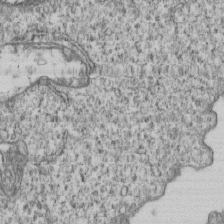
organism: Human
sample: MDA-MB-231 cells